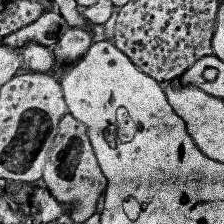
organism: Human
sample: Temporal Lobe